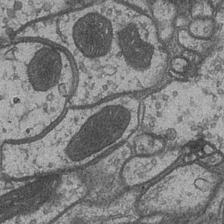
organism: Drosophila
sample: Optic medulla